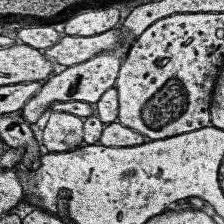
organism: Human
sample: Temporal Lobe